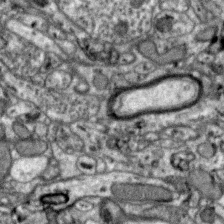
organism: Zebra finch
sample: Brain